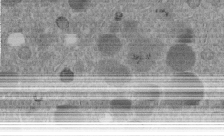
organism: C. elegans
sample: C. elegans embryo early stage